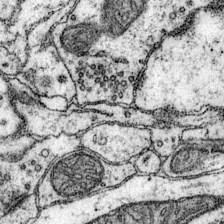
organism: Mouse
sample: Primary visual cortex